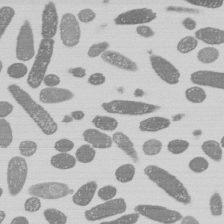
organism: E. coli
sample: Bacterial nucleoid